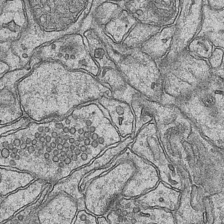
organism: Mouse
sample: CA1 Hippocampus